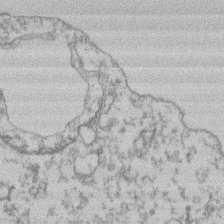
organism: Mouse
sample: T cell stromal cell synapse